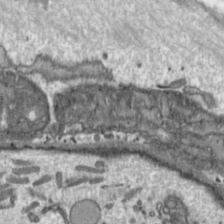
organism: Toxoplasma gondii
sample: Parasites in a vacuole inside a host cell